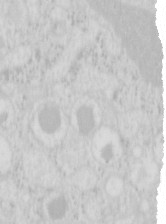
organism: Mouse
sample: Pancreas